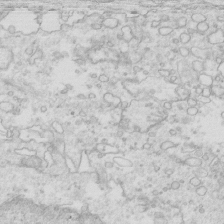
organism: Mouse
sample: Multiciliated cells